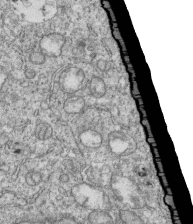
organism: Human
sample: HeLa cell HIV synapse